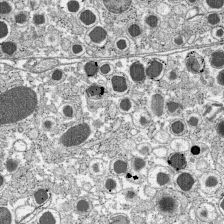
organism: C57BL Mouse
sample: Pancreatic islet